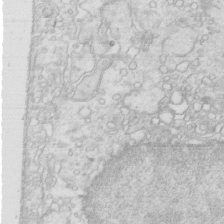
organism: Mouse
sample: Multiciliated cells